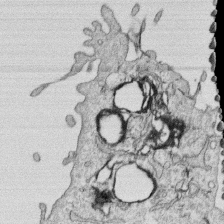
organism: Human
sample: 1205lu cells